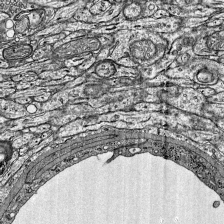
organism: Mouse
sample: Visual Cortex